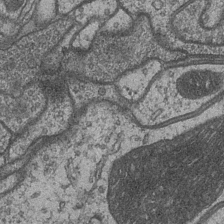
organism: Drosophila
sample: Optic medulla